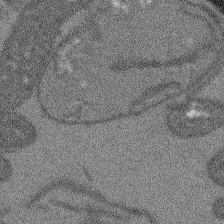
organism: Arabidopsis thaliana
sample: Root tip